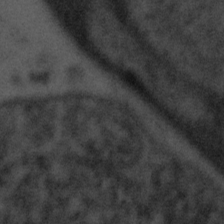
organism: Tuwongella immobilis